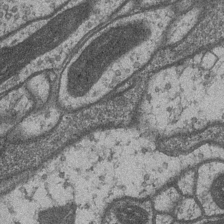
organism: Drosophila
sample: Optic medulla